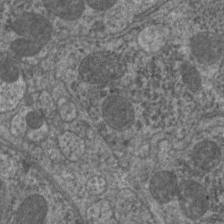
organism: C. elegans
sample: Pharynx